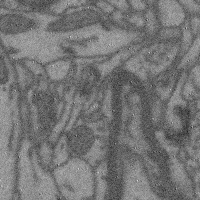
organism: Mouse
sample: Cerebral cortex